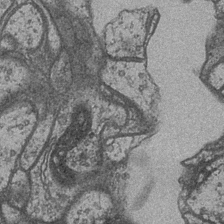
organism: Drosophila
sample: Optic medulla